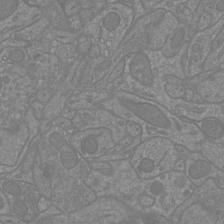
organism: Mouse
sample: Cortical neurons